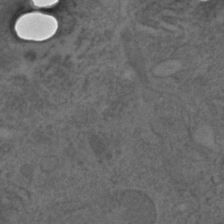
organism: C. elegans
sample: C. elegans embryo